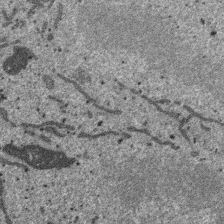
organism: Human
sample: Lung epithelial cells infected with SARS-CoV-2